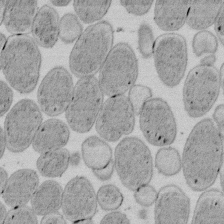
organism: E. coli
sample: Bacterial nucleoid